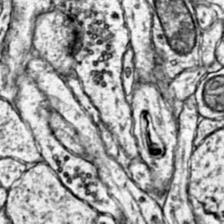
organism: Mouse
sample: Primary visual cortex